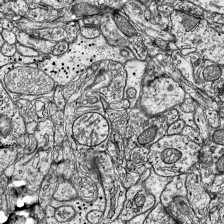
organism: Mouse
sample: Visual Cortex